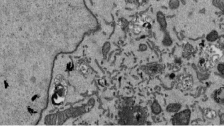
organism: Mouse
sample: ED-1 cell nuclei; centrioles